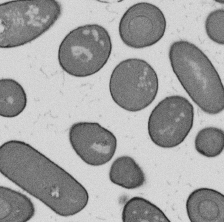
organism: B. subtilis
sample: Bacterial spore